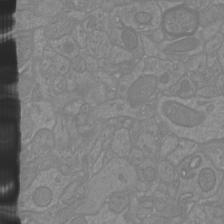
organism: Mouse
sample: Cortical neurons